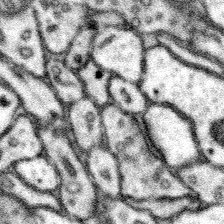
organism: Mouse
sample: Somatosensory cortex neuropil